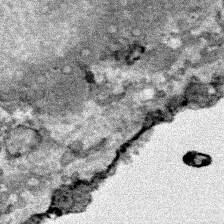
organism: Human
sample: Mitochondria in HCT116 cells